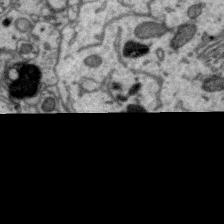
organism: Zebra finch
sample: Brain